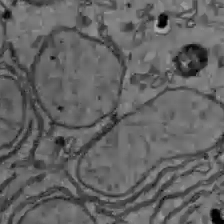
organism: C57BL Mouse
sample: Liver